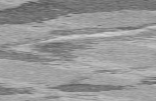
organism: C57BL Mouse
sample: Heart